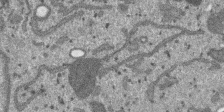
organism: Human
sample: Lung epithelial cells infected with SARS-CoV-2